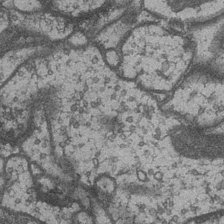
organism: Drosophila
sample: Optic medulla